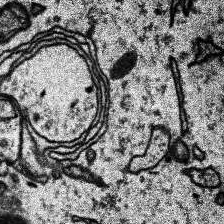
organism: Human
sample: Temporal Lobe